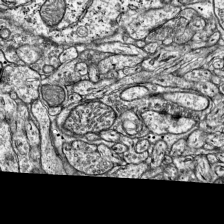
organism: Mouse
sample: Visual Cortex